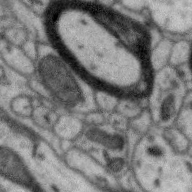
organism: Zebra finch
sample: Brain